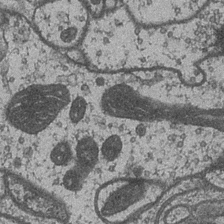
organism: Drosophila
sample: Optic medulla